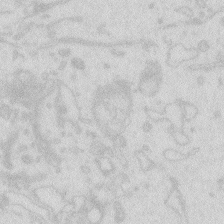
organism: Zebrafish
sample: Macrophage